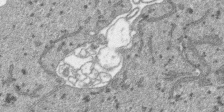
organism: Human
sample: Lung epithelial cells infected with SARS-CoV-2